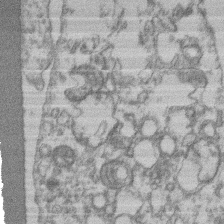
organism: Mouse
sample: T cell stromal cell synapse